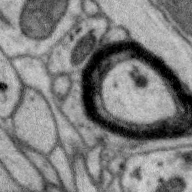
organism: Zebra finch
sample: Brain